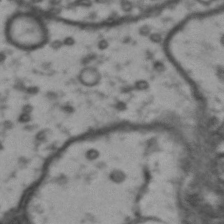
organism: Drosophila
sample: Brain